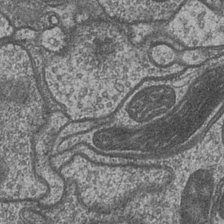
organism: Drosophila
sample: Optic medulla